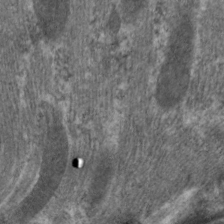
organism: C. elegans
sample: Pharynx